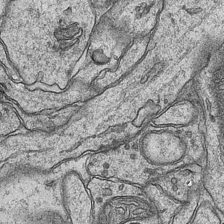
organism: Mouse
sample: CA1 Hippocampus